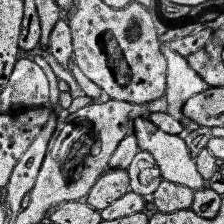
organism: Human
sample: Temporal Lobe